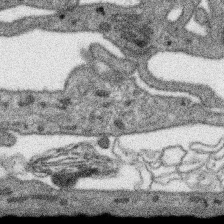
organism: Human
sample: Lung epithelial cells infected with SARS-CoV-2